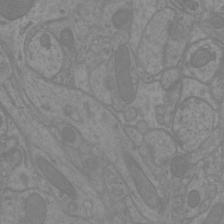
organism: Mouse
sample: Cortical neurons